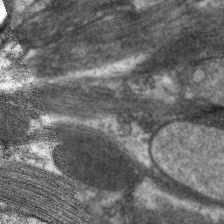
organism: C. elegans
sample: Pharynx